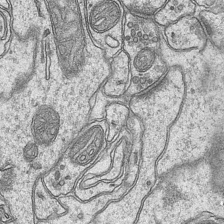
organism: Mouse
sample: CA1 Hippocampus